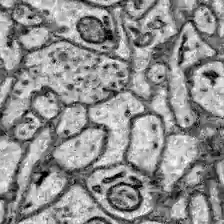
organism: Zebrafish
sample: Brain